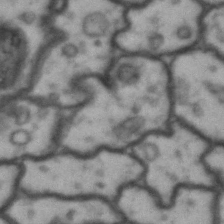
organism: Drosophila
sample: Brain